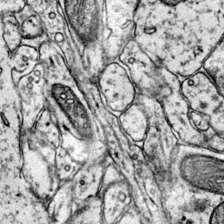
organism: Mouse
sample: Primary visual cortex